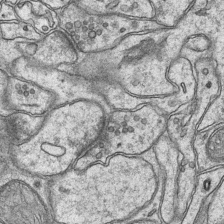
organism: Mouse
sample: CA1 Hippocampus